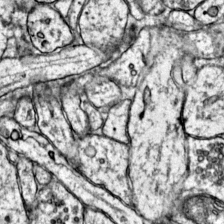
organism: Mouse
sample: Primary visual cortex